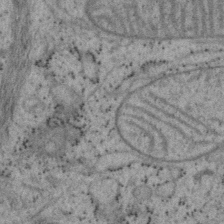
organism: Human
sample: HeLa cells